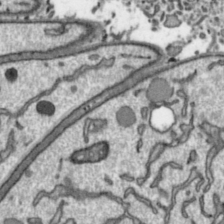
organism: Toxoplasma gondii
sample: Parasites in a vacuole inside a host cell